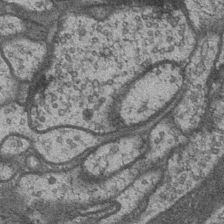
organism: Drosophila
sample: Optic medulla